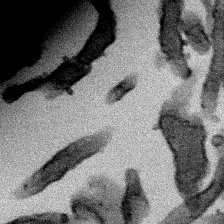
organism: Human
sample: Mitochondria in HCT116 cells